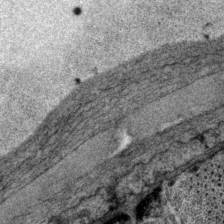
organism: P. pacificus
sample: Pharynx